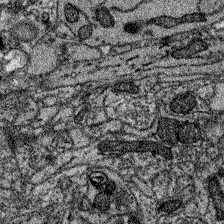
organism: Zebrafish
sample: Larval olfactory bulb